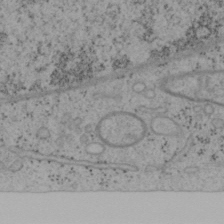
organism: Human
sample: HeLa cells